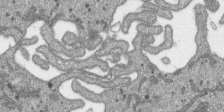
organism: Human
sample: Lung epithelial cells infected with SARS-CoV-2